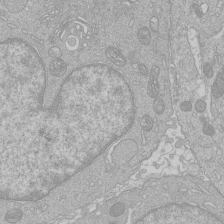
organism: Human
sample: Macrophage cells